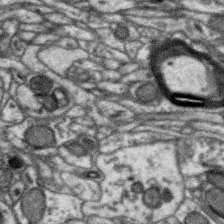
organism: Zebra finch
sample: Brain